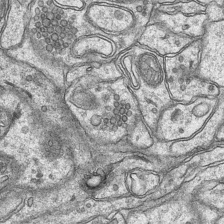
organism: Mouse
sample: CA1 Hippocampus